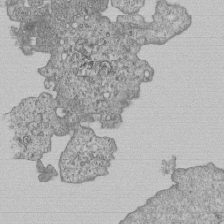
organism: Human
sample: MDA-MB-231 cells